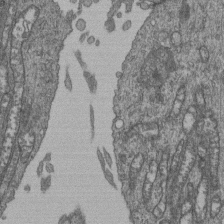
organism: Human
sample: Retinal organoid Rod and Cone cells